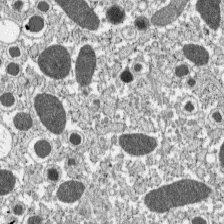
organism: C57BL Mouse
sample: Pancreatic islet